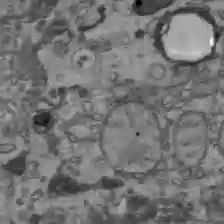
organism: C57BL Mouse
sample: Liver